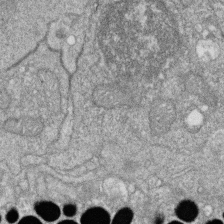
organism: Zebrafish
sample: Cilia; retinal pigment epithelium